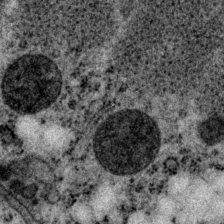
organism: P. pacificus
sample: Pharynx